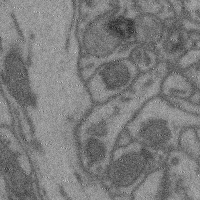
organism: Mouse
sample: Cerebral cortex